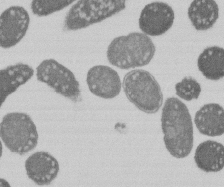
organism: E. coli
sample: Bacterial nucleoid